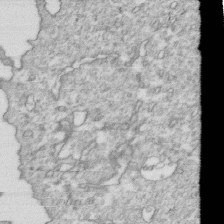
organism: Mouse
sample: Activated OT-1 CD8+ T cells